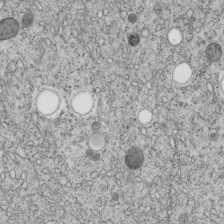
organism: C. elegans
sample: C. elegans embryo early stage